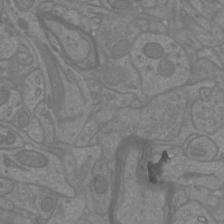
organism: Mouse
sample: Cortical neurons